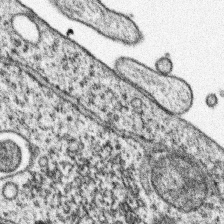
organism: Human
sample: HeLa cells